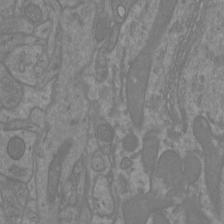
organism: Mouse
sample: Cortical neurons